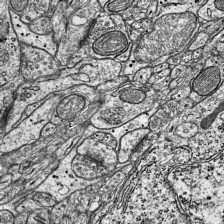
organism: Mouse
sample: Visual Cortex